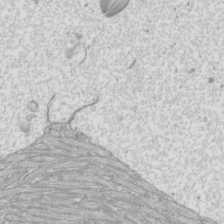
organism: Mouse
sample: Cilia; mouse epididymis